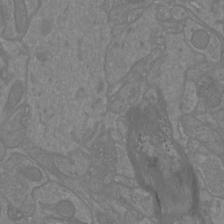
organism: Mouse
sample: Cortical neurons